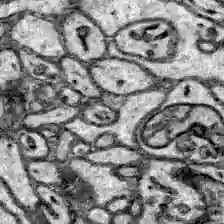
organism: Zebrafish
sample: Brain